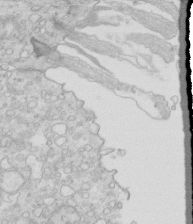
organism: Mouse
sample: Multiciliated cells